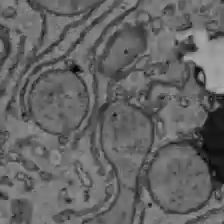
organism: C57BL Mouse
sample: Liver